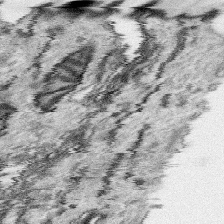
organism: Human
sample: HeLa cells